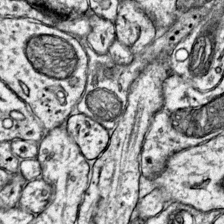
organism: Mouse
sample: Primary visual cortex